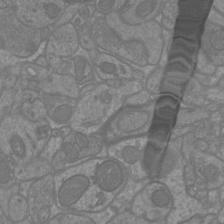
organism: Mouse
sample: Cortical neurons